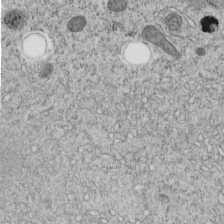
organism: C. elegans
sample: C. elegans embryo early stage